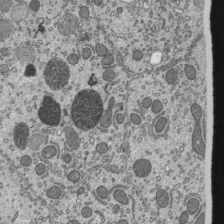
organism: Mouse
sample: Mouse epididymis efferent ductule cilia